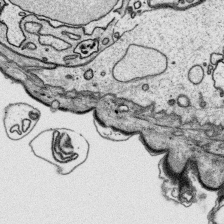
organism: Platynereis dumerilii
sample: Parapodia